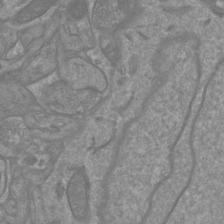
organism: Mouse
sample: Cortical neurons